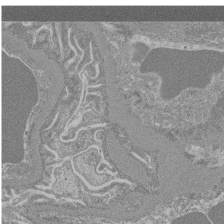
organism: Mouse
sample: Glomerulus